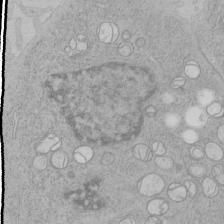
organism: Human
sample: Mitochondria in HCT116 cells